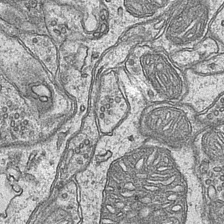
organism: Mouse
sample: CA1 Hippocampus